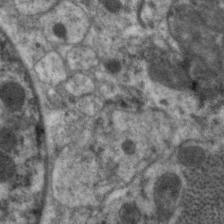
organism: C. elegans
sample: Pharynx